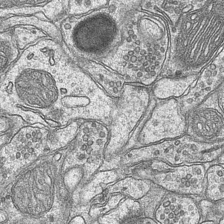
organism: Mouse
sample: CA1 Hippocampus